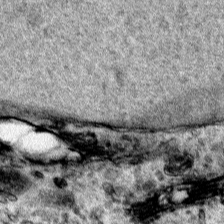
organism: Human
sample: Mitochondria in HCT116 cells